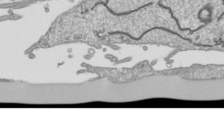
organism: Human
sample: Mitochondria in HCT116 cells